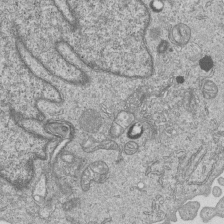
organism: Human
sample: MDA-MB-231 cells